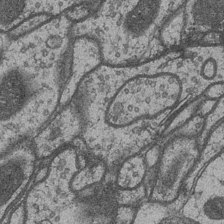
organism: Drosophila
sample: Optic medulla